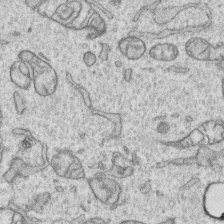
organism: Human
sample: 1205lu cells